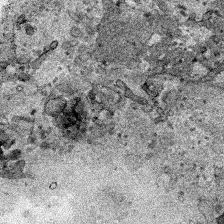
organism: Human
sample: Mitochondria in HCT116 cells